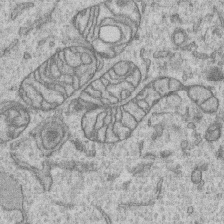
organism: Human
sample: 1205lu cells